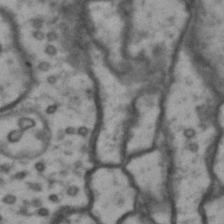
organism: Drosophila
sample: Brain